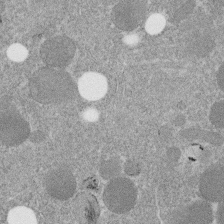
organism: C. elegans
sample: C. elegans embryo early stage